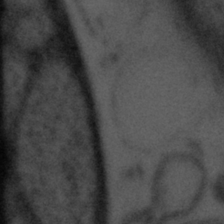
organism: Tuwongella immobilis